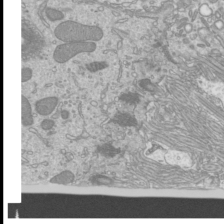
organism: Mouse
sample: Cilia; mouse epididymis